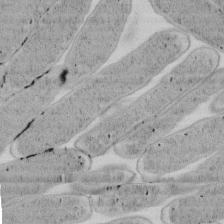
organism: E. coli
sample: Bacterial nucleoid